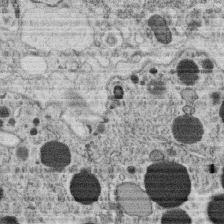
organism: C. elegans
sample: C. elegans oocyte; sperm cells